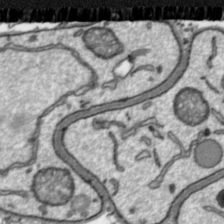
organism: Toxoplasma gondii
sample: Parasites in a vacuole inside a host cell